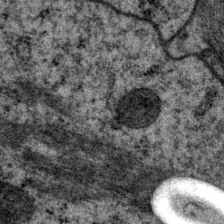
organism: P. pacificus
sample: Pharynx